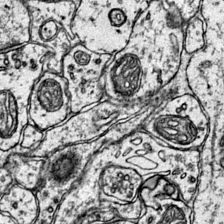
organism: Mouse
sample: Primary visual cortex